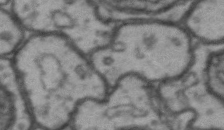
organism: Drosophila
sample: Brain